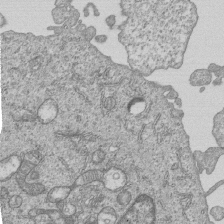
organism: Human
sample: MDA-MB-231 cells